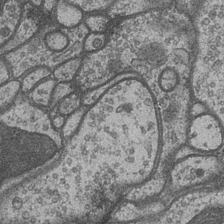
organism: Drosophila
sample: Optic medulla